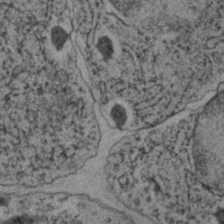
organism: C. elegans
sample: C. elegans embryo